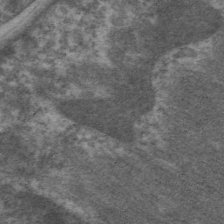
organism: C. elegans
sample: Pharynx